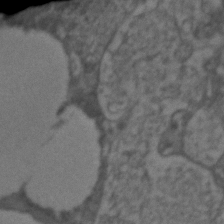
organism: C. elegans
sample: C. elegans embryo